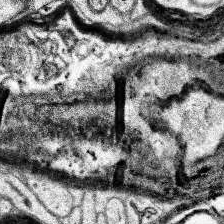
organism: Human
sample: Temporal Lobe